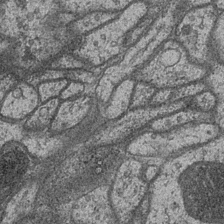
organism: Drosophila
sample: Optic medulla